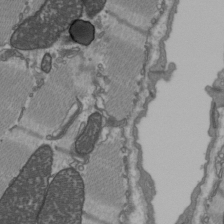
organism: C57BL Mouse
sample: Heart